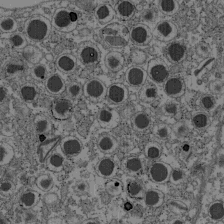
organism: C57BL Mouse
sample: Pancreatic islet